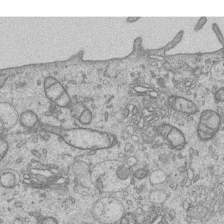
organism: Human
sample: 1205lu cells